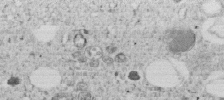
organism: C. elegans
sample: C. elegans embryo early stage